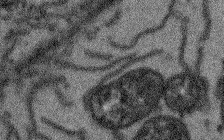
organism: Arabidopsis thaliana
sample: Root tip